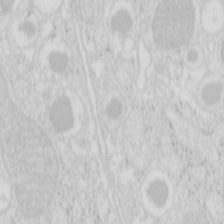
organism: Mouse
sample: Pancreas